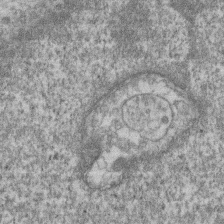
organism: Mouse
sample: T cell stromal cell synapse